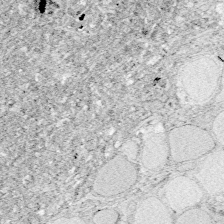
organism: Zebrafish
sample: Whole-Brain